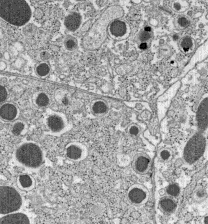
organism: C57BL Mouse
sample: Pancreatic islet